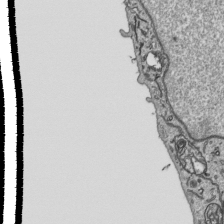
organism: Human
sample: Mitochondria in HCT116 cells